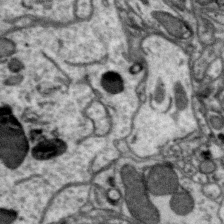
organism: Zebra finch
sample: Brain